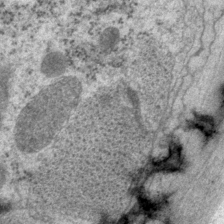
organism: P. pacificus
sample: Pharynx